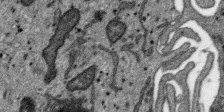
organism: Human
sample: Lung epithelial cells, uninfected (mock) control